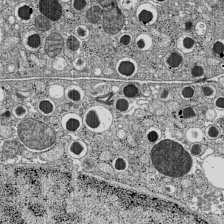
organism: C57BL Mouse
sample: Pancreatic islet